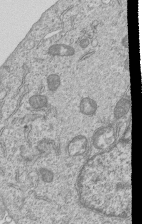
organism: Human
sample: MDA-MB-231 cells